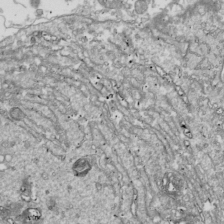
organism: Drosophila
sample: Cell division; meiosis; drosophila spermatocytes